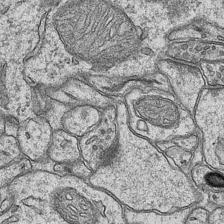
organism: Mouse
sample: CA1 Hippocampus